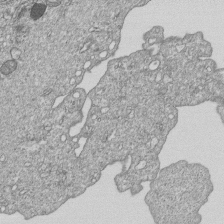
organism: Human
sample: MDA-MB-231 cells